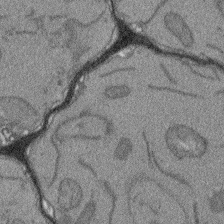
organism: Arabidopsis thaliana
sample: Root tip